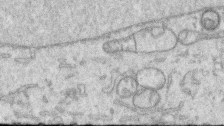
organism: Human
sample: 1205lu cells